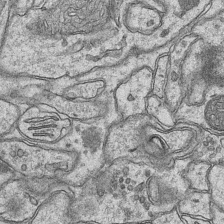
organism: Mouse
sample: CA1 Hippocampus